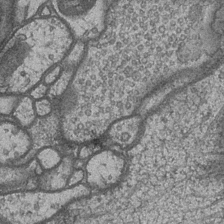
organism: Drosophila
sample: Optic medulla